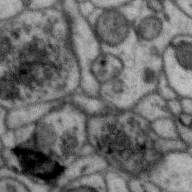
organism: Zebra finch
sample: Brain